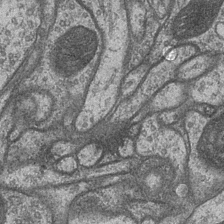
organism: Drosophila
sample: Optic medulla